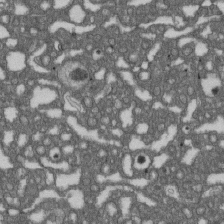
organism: Drosophila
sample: Nephrocyte